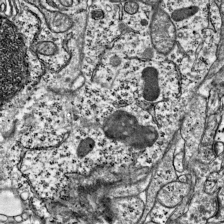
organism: Mouse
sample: Visual Cortex